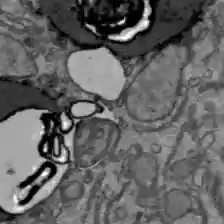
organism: C57BL Mouse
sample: Liver